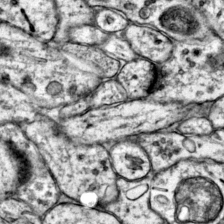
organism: Mouse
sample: Primary visual cortex